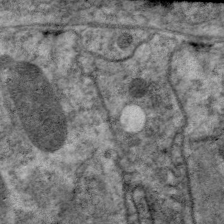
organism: C. elegans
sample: Pharynx